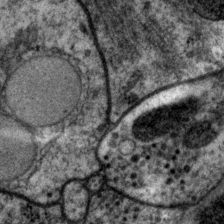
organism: P. pacificus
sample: Pharynx